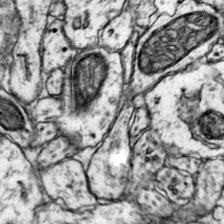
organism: Mouse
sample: Primary visual cortex